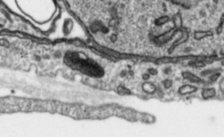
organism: Toxoplasma gondii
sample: Parasites in a vacuole inside a host cell